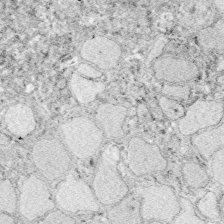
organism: Zebrafish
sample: Whole-Brain